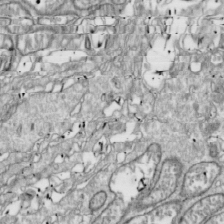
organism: Drosophila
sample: Cell division; meiosis; drosophila spermatocytes